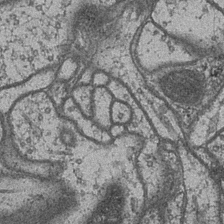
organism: Drosophila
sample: Optic medulla